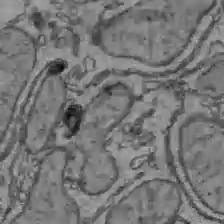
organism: C57BL Mouse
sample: Liver